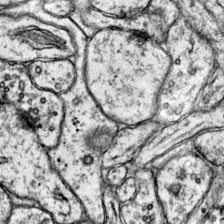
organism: Mouse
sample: Primary visual cortex